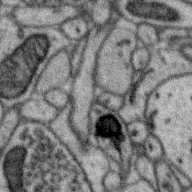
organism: Zebra finch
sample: Brain